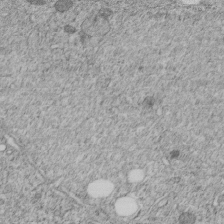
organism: C. elegans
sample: C. elegans embryo early stage